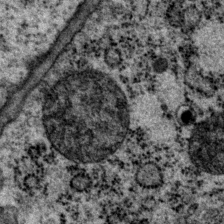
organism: P. pacificus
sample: Pharynx